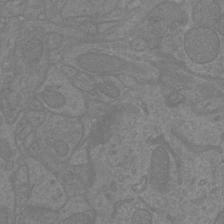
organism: Mouse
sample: Cortical neurons